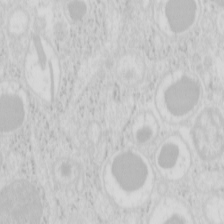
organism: Mouse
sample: Pancreas